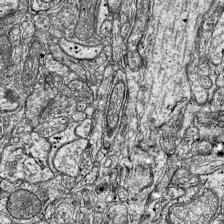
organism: Mouse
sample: Visual Cortex